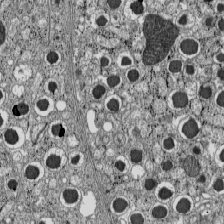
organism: C57BL Mouse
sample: Pancreatic islet